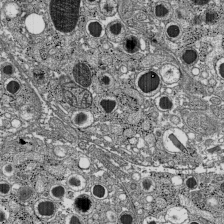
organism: C57BL Mouse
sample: Pancreatic islet